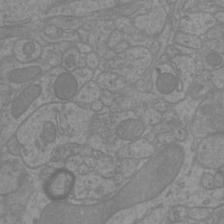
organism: Mouse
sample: Cortical neurons